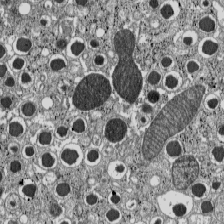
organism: C57BL Mouse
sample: Pancreatic islet